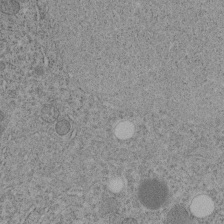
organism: C. elegans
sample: C. elegans embryo early stage